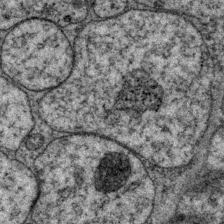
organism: P. pacificus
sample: Pharynx